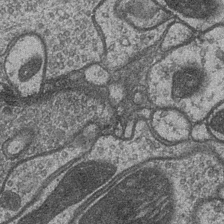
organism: Drosophila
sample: Optic medulla